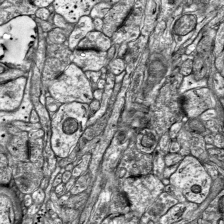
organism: Mouse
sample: Visual Cortex